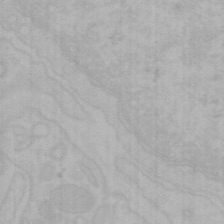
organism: Mouse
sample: Choroid plexus